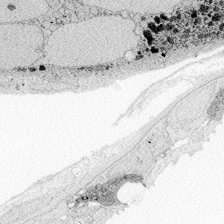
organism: Zebrafish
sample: Whole-Brain